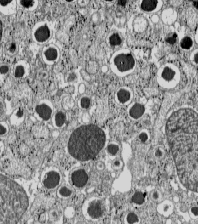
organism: C57BL Mouse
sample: Pancreatic islet